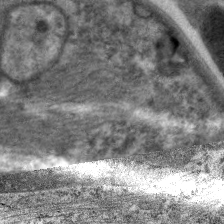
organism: C. elegans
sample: Pharynx